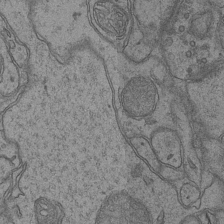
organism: Mouse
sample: CA1 Hippocampus